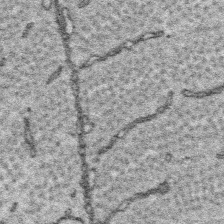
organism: Platynereis dumerilii